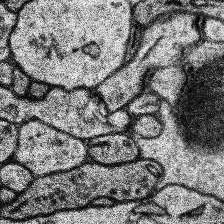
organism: Human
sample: Temporal Lobe